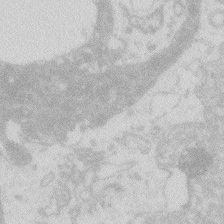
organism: Zebrafish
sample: Macrophage